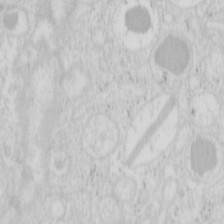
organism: Mouse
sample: Pancreas